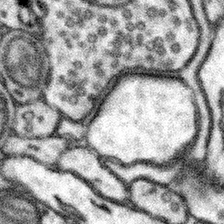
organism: Mouse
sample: Somatosensory cortex neuropil